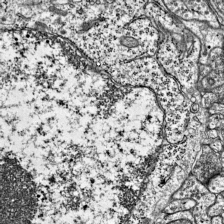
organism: Mouse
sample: Visual Cortex